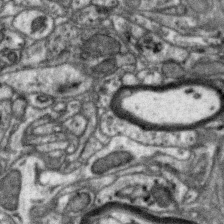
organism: Zebra finch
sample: Brain